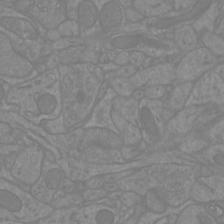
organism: Mouse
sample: Cortical neurons